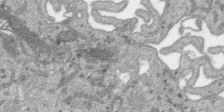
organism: Human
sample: Lung epithelial cells infected with SARS-CoV-2